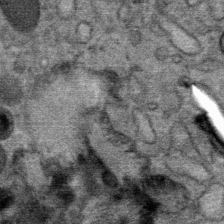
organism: Mouse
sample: Mouse Salivary gland